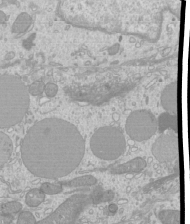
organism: Mouse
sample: Cilia; mouse epididymis